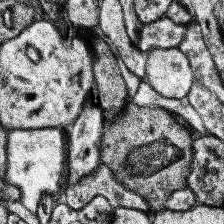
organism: Human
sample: Temporal Lobe